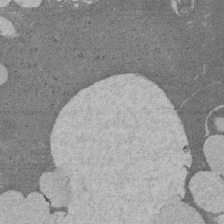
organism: Rat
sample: Salivary granule